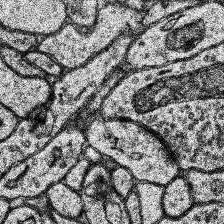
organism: Human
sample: Temporal Lobe